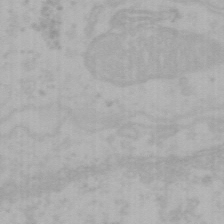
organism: Mouse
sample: Choroid plexus